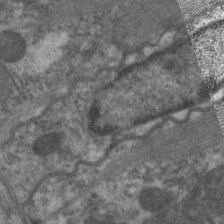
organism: C. elegans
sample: Pharynx